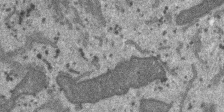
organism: Human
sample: Lung epithelial cells infected with SARS-CoV-2